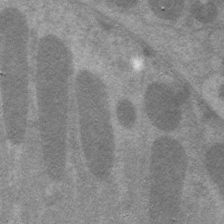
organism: C. elegans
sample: Pharynx